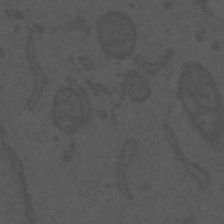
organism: Mouse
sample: Suprachiasmatic nucleus